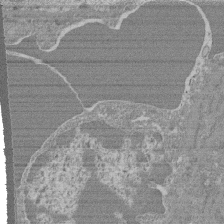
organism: Mouse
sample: Glomerulus